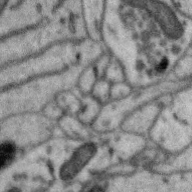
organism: Zebra finch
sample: Brain